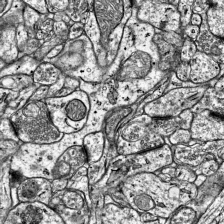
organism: Mouse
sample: Visual Cortex